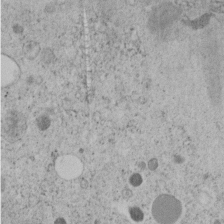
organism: C. elegans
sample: C. elegans embryo early stage